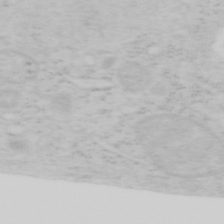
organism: Mouse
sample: OT-I killer T cells with ID8 ovarian cancer cells